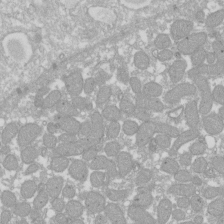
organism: Xenopus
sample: Cilia; centrioles in frog embryo cells